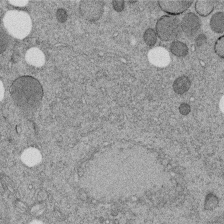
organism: C. elegans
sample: C. elegans embryo early stage